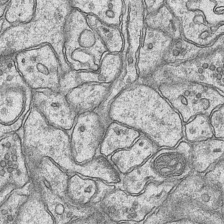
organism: Mouse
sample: CA1 Hippocampus